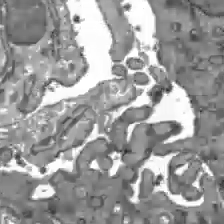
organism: C57BL Mouse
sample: Liver